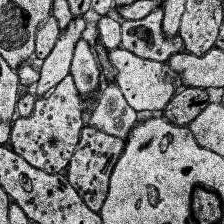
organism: Human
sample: Temporal Lobe